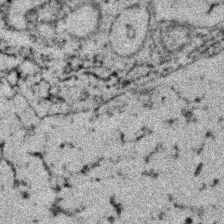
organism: Zebrafish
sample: Zebrafish embryo